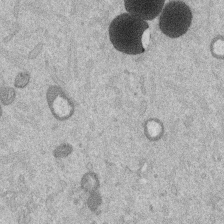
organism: Mouse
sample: Dividing mouse embryo 1 cell stage